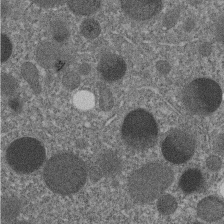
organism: C. elegans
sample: C. elegans embryo early stage